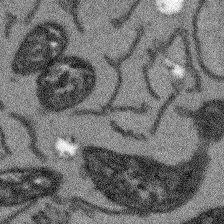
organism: Arabidopsis thaliana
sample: Root tip